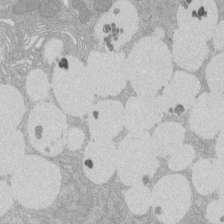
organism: Rat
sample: Salivary granule